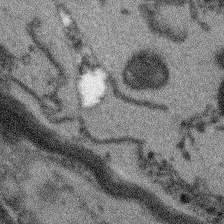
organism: Arabidopsis thaliana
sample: Root tip